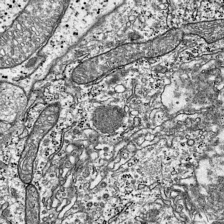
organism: Mouse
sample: Visual Cortex